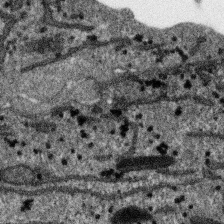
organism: Human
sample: Lung epithelial cells infected with SARS-CoV-2